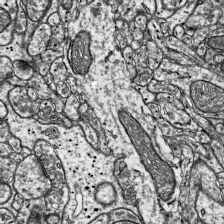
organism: Mouse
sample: Visual Cortex